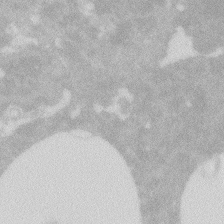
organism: Zebrafish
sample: Macrophage